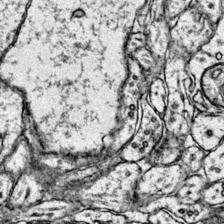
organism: Mouse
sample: Primary visual cortex